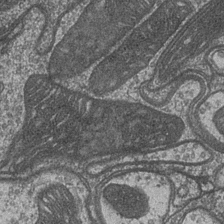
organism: Drosophila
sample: Optic medulla